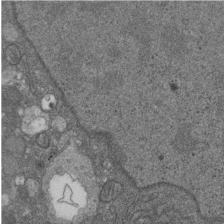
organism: Drosophila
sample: Nephrocyte